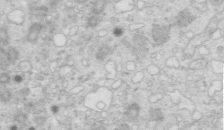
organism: Mouse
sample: Multiciliated cells